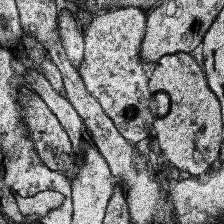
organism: Human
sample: Temporal Lobe